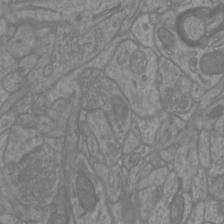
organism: Mouse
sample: Cortical neurons